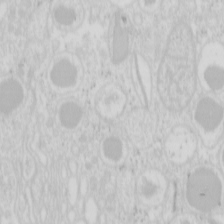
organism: Mouse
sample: Pancreas